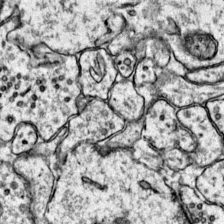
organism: Mouse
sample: Primary visual cortex